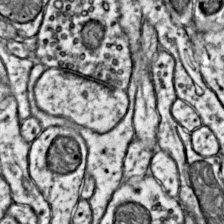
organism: Mouse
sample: Primary visual cortex